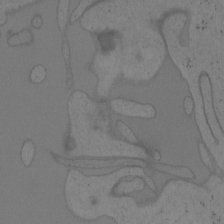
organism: Mouse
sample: OT-I killer T cells with ID8 ovarian cancer cells